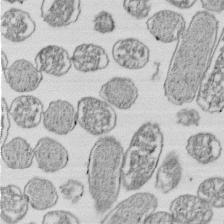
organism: E. coli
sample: Bacterial nucleoid